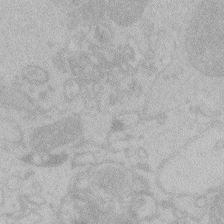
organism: Zebrafish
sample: Macrophage infected with Toxoplasma gondii